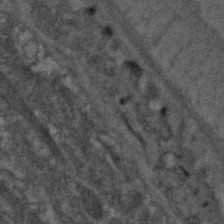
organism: C. elegans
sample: C. elegans embryo